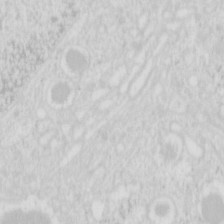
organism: Mouse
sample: Pancreas